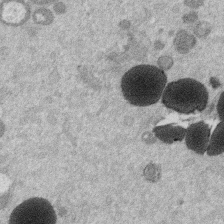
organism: Mouse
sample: Dividing mouse embryo 1 cell stage